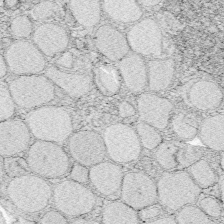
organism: Zebrafish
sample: Whole-Brain